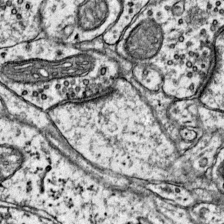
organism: Mouse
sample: Primary visual cortex